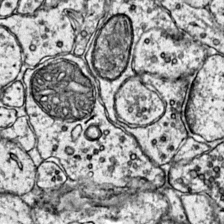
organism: Mouse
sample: Primary visual cortex